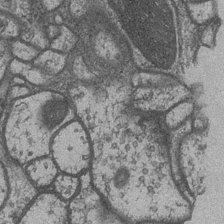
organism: Drosophila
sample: Optic medulla